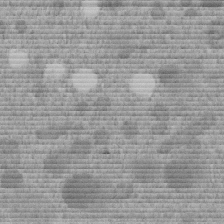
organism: C. elegans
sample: C. elegans embryo early stage